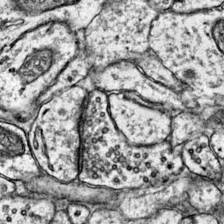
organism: Mouse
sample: Primary visual cortex